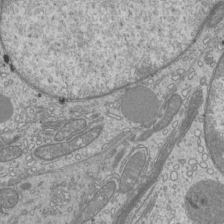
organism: Mouse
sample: Cilia; mouse epididymis